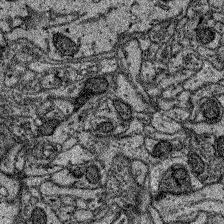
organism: Zebrafish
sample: Larval olfactory bulb